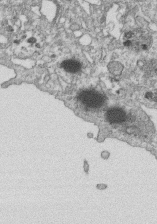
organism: Human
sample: HeLa cell HIV synapse